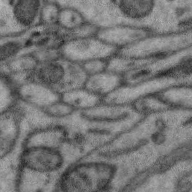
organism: Zebra finch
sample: Brain